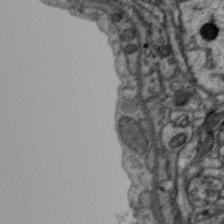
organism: Zebra finch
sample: Brain